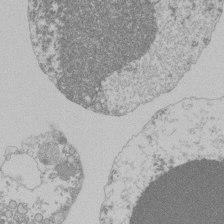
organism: Mouse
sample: Activated Pmel transgenic CD8+ T Cells